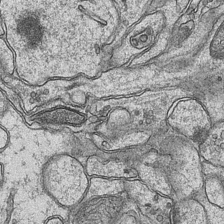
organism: Mouse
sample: CA1 Hippocampus